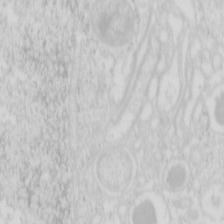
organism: Mouse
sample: Pancreas